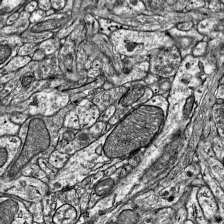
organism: Mouse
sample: Visual Cortex